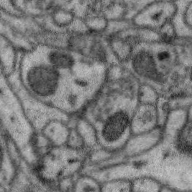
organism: Zebra finch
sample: Brain